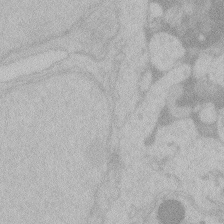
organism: Zebrafish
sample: Macrophage infected with Toxoplasma gondii